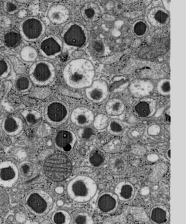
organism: C57BL Mouse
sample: Pancreatic islet